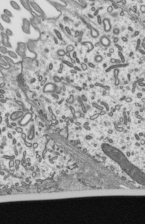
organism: Mouse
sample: Mouse epididymis efferent ductule cilia